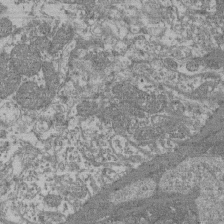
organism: Mouse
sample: Glomerulus